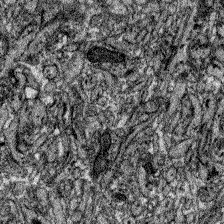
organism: Zebrafish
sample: Larval olfactory bulb